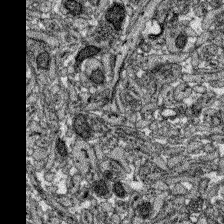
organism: Zebrafish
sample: Larval olfactory bulb